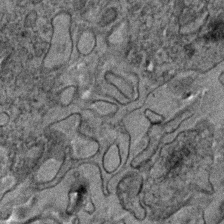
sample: Trachea